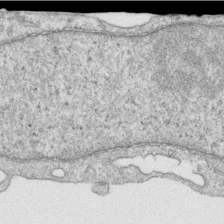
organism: Human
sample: Centriole in RPE cells